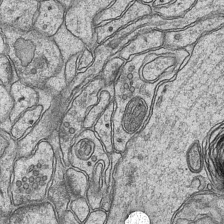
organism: Mouse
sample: CA1 Hippocampus